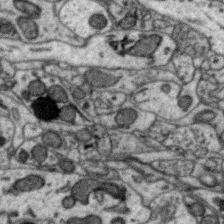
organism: Zebra finch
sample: Brain